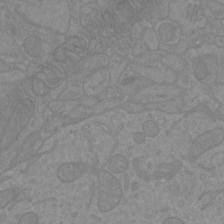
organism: Mouse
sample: Cortical neurons